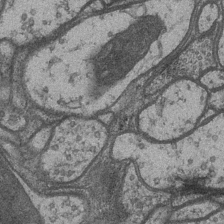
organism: Drosophila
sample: Optic medulla